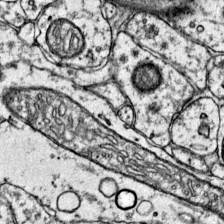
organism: Mouse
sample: Primary visual cortex